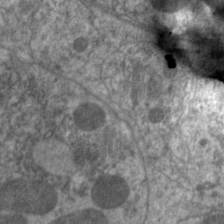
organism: C. elegans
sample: Pharynx